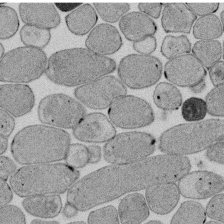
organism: E. coli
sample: Bacterial nucleoid